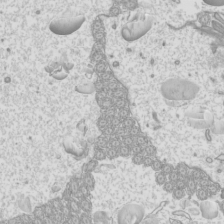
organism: Mouse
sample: Cilia; mouse epididymis